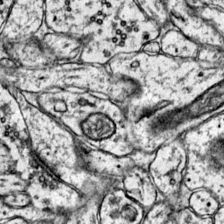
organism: Mouse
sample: Primary visual cortex